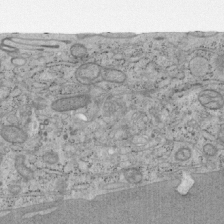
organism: Human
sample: HeLa cells